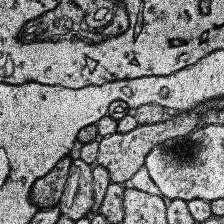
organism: Human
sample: Temporal Lobe